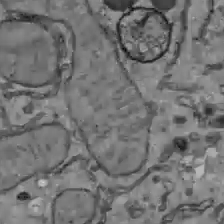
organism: C57BL Mouse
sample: Liver